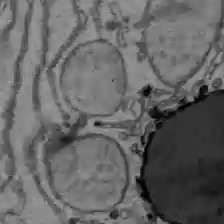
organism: C57BL Mouse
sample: Liver